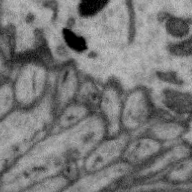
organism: Zebra finch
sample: Brain